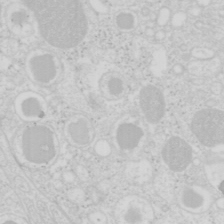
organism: Mouse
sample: Pancreas